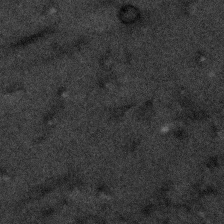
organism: Human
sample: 1205lu cells